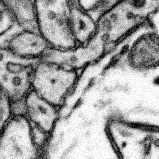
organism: Mouse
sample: Somatosensory cortex neuropil